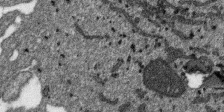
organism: Human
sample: Lung epithelial cells infected with SARS-CoV-2